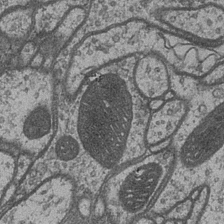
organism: Drosophila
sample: Optic medulla